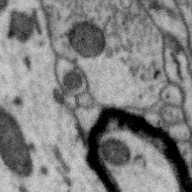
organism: Zebra finch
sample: Brain